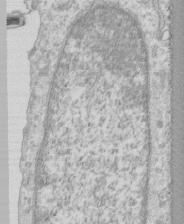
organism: Human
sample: CRL-1474